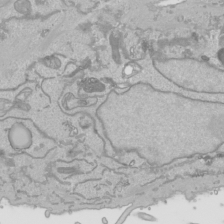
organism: Human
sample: Mitochondria in HCT116 cells